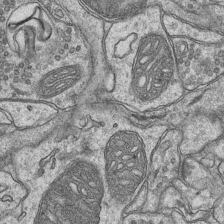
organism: Mouse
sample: CA1 Hippocampus